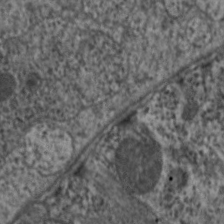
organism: C. elegans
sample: Pharynx